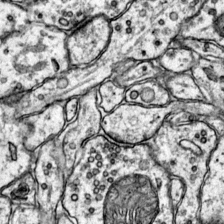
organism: Mouse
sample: Primary visual cortex